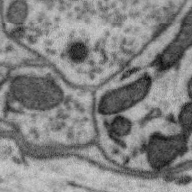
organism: Zebra finch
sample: Brain